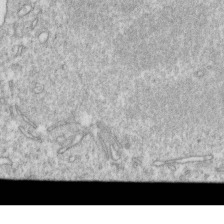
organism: Mouse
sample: Activated OT-1 CD8+ T cells